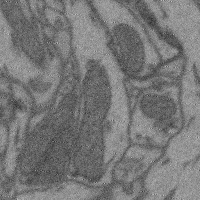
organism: Mouse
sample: Cerebral cortex